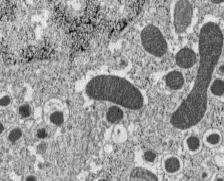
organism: C57BL Mouse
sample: Pancreatic islet